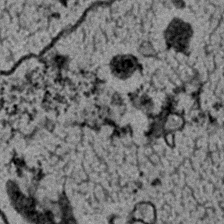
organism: C. elegans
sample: C. elegans embryo